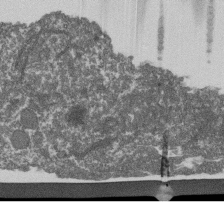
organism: Dictyostelium discoideum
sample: Dictyostelium multivesicular bodies